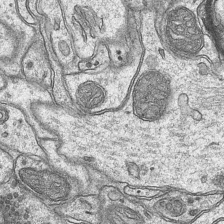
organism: Mouse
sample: CA1 Hippocampus